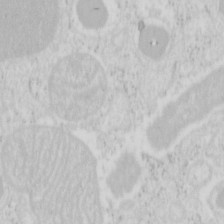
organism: Mouse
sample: Pancreas